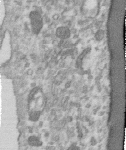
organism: Human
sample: Centriole in RPE cells